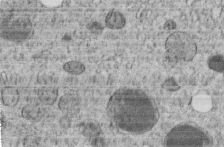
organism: C. elegans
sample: C. elegans embryo early stage